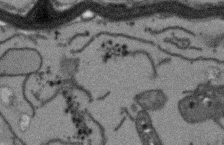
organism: Arabidopsis thaliana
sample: Root tip